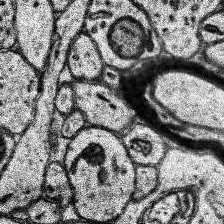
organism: Human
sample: Temporal Lobe